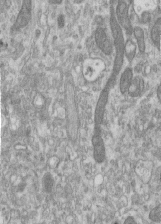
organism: Human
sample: Centriole in RPE cells